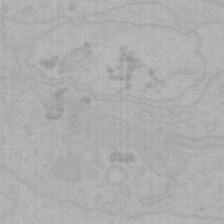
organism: Mouse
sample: Choroid plexus